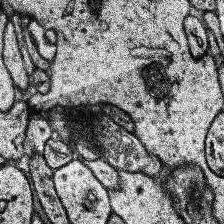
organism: Human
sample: Temporal Lobe